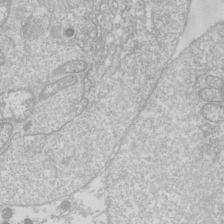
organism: Drosophila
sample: Cell division; meiosis; drosophila spermatocytes